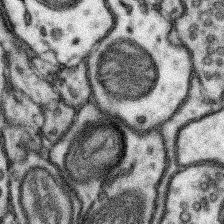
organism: Mouse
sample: Somatosensory cortex neuropil